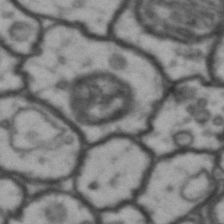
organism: Drosophila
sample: Brain